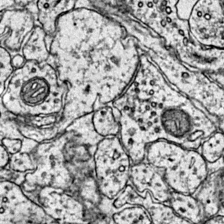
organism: Mouse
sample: Primary visual cortex